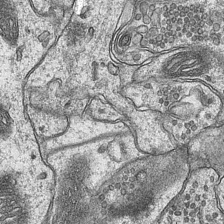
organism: Mouse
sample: CA1 Hippocampus